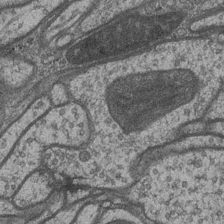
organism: Drosophila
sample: Optic medulla